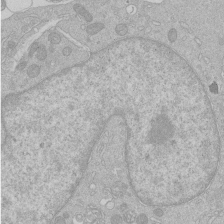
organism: Human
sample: Macrophage cells